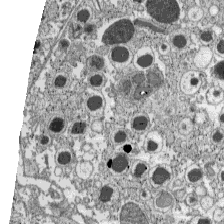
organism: C57BL Mouse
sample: Pancreatic islet